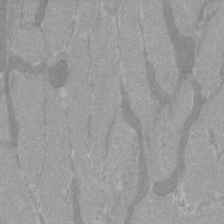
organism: C57BL Mouse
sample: Tibialis anterior muscle cell